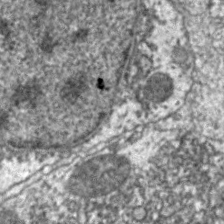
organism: C. elegans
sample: Pharynx